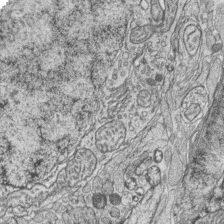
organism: Zebrafish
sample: synaptic ribbons in rod cells and cone cells